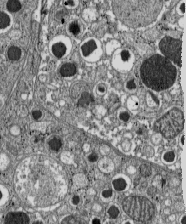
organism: C57BL Mouse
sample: Pancreatic islet